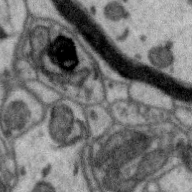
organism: Zebra finch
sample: Brain